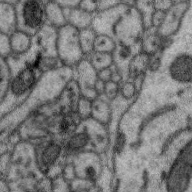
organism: Zebra finch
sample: Brain